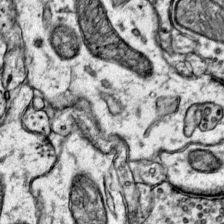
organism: Mouse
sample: Primary visual cortex